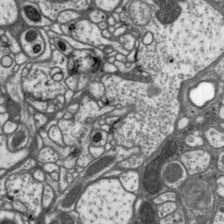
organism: Drosophila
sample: Protocerebral bridge